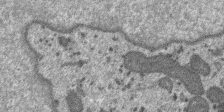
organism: Human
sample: Lung epithelial cells infected with SARS-CoV-2